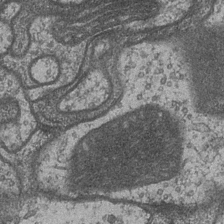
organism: Drosophila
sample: Optic medulla